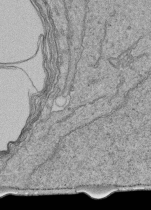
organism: Human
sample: Retinal organoid Rod and Cone cells